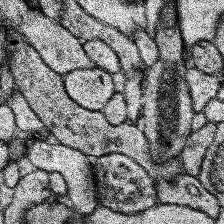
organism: Human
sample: Temporal Lobe